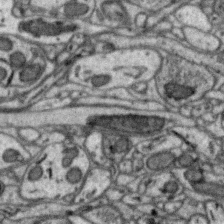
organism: Zebra finch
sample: Brain